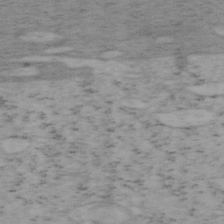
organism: Mouse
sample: OT-I killer T cells with ID8 ovarian cancer cells